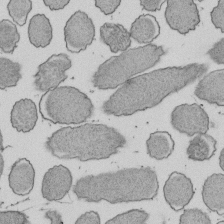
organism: E. coli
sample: Bacterial nucleoid